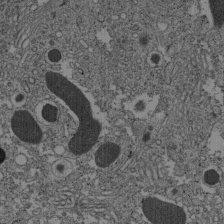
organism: C57BL Mouse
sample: Pancreatic islet